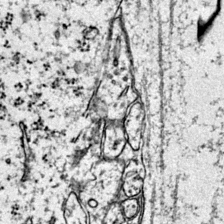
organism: Mouse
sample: Primary visual cortex